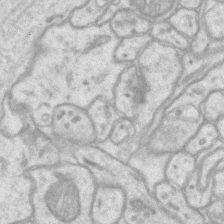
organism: Mouse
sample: CA1 Hippocampus